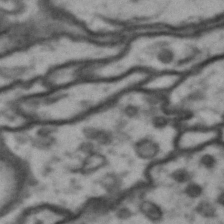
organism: Drosophila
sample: Brain